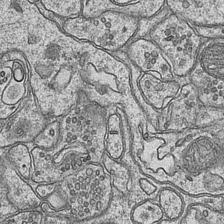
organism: Mouse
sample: CA1 Hippocampus